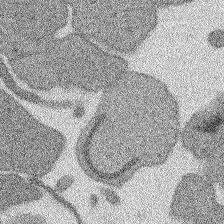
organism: Human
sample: HeLa cells